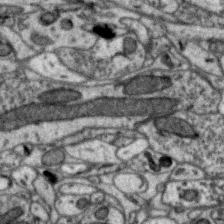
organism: Zebra finch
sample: Brain